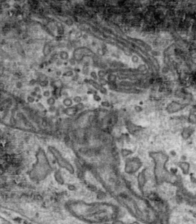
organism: Toxoplasma gondii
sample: Parasites in a vacuole inside a host cell